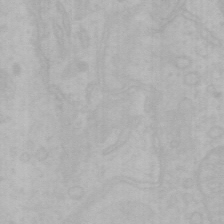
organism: Mouse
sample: Choroid plexus